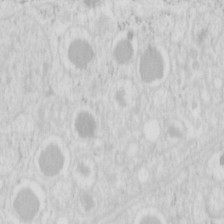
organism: Mouse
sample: Pancreas